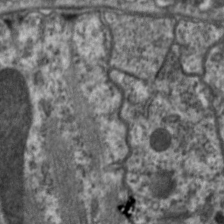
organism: C. elegans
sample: Pharynx